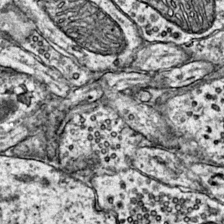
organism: Mouse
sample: Primary visual cortex